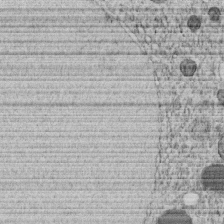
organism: C. elegans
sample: C. elegans embryo early stage